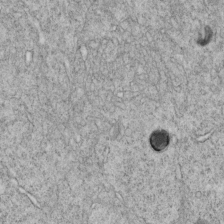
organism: C. elegans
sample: C. elegans embryo early stage